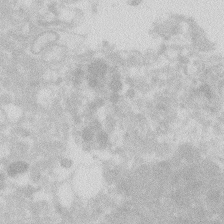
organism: Zebrafish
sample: Macrophage